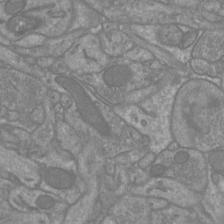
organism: Mouse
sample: Cortical neurons